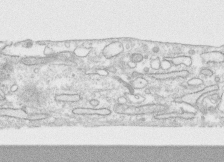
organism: Human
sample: CRL-1474